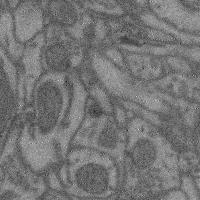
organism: Mouse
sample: Cerebral cortex